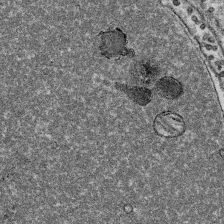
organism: Mouse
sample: Mouse Salivary gland